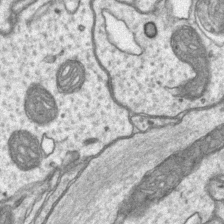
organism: Mouse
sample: CA1 Hippocampus